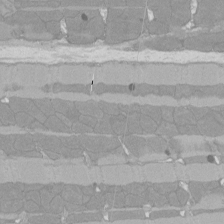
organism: Rat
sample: Left ventricle